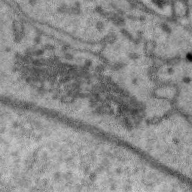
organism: Zebra finch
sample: Brain